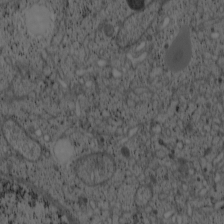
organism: African green monkey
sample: COS-7 cells